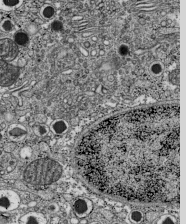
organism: C57BL Mouse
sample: Pancreatic islet